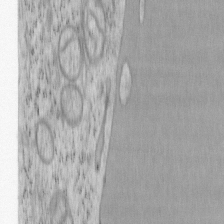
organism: Human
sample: HeLa cells